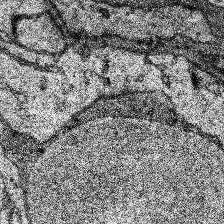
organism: Human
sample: Temporal Lobe